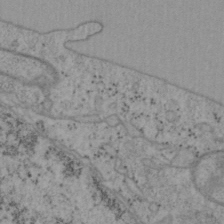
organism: Human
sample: HeLa cells